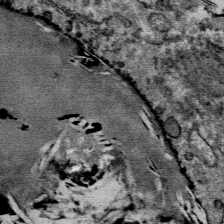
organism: Mouse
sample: Mouse Salivary gland